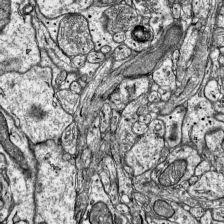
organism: Mouse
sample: Visual Cortex